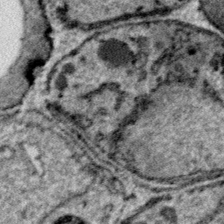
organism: Plasmodium falciparum